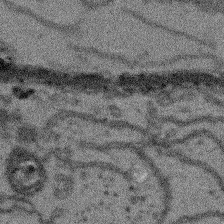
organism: Arabidopsis thaliana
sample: Root tip